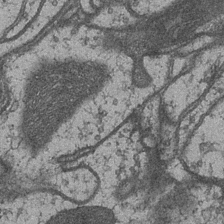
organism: Drosophila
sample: Optic medulla